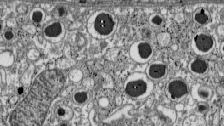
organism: C57BL Mouse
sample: Pancreatic islet